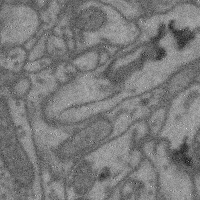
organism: Mouse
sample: Cerebral cortex